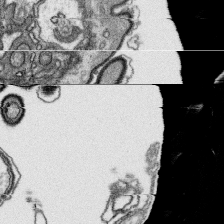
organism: Platynereis dumerilii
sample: Parapodia